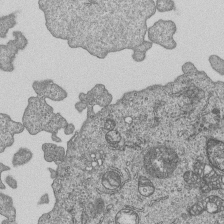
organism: Human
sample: MDA-MB-231 cells